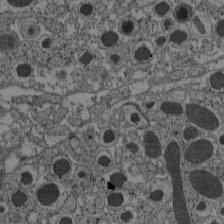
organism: C57BL Mouse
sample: Pancreatic islet